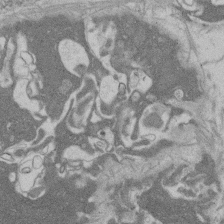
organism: Rat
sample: Salivary granule